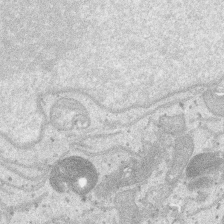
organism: Human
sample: Lung epithelial cells infected with SARS-CoV-2